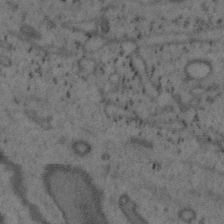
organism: Human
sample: HeLa cells